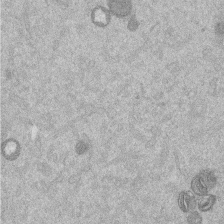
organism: Mouse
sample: Dividing mouse embryo 1 cell stage